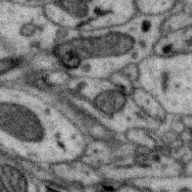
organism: Zebra finch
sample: Brain